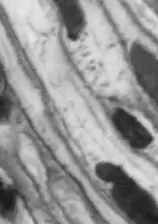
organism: Drosophila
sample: Optic lobe